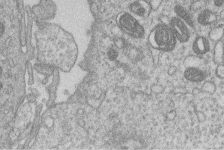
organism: Human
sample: Macrophage cells